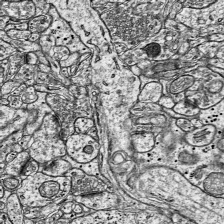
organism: Mouse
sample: Visual Cortex